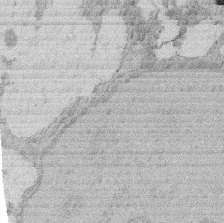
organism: Rat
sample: Salivary granule